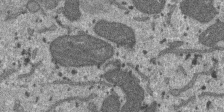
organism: Human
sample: Lung epithelial cells infected with SARS-CoV-2